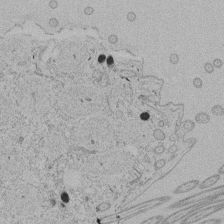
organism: Tetrahymena